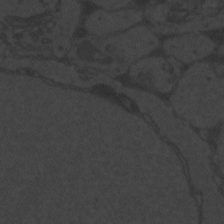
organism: Zebrafish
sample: Macrophage infected with Toxoplasma gondii